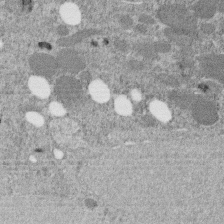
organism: C. elegans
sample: C. elegans embryo early stage